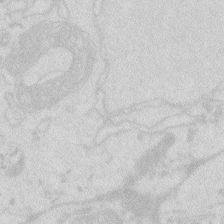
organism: Zebrafish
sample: Macrophage